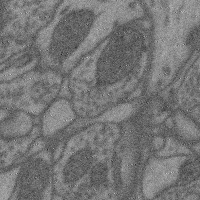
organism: Mouse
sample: Cerebral cortex